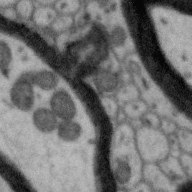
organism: Zebra finch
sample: Brain